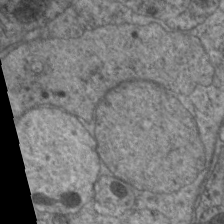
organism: C. elegans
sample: Pharynx